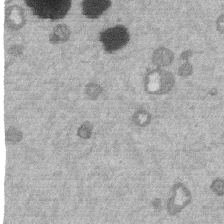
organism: Mouse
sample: Dividing mouse embryo 1 cell stage